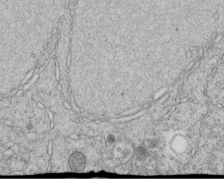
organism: C. elegans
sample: C. elegans embryo early stage